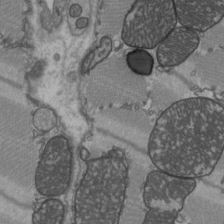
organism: C57BL Mouse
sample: Heart